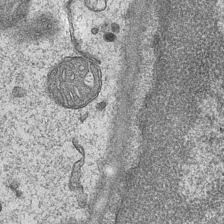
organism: Mouse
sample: CA1 Hippocampus